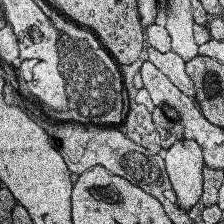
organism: Human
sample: Temporal Lobe